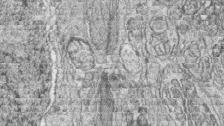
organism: Zebrafish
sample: synaptic ribbons in rod cells and cone cells